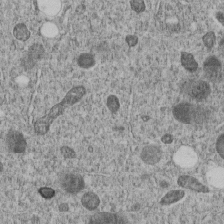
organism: C. elegans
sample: C. elegans embryo early stage